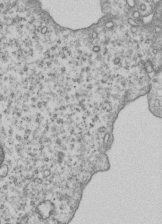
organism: Human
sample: MDA-MB-231 cells